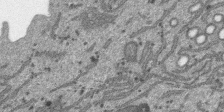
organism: Human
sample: Lung epithelial cells infected with SARS-CoV-2